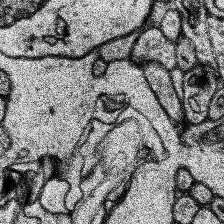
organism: Human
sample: Temporal Lobe